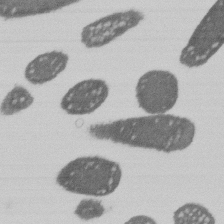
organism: E. coli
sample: Bacterial nucleoid